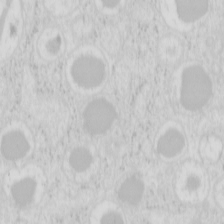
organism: Mouse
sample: Pancreas